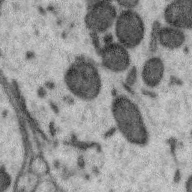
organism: Zebra finch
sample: Brain